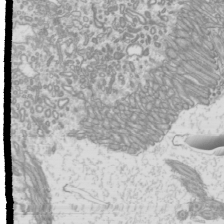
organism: Mouse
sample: Cilia; mouse epididymis